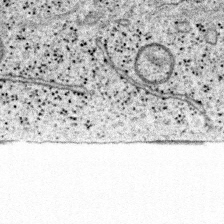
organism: Human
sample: HeLa cells